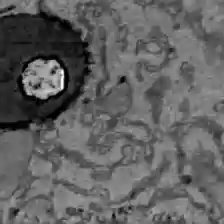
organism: C57BL Mouse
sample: Liver